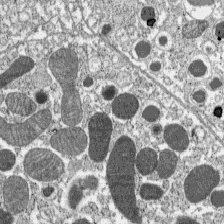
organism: C57BL Mouse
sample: Pancreatic islet